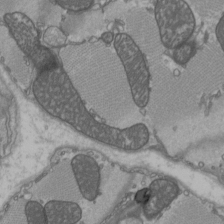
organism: C57BL Mouse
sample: Heart